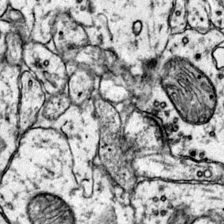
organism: Mouse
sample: Primary visual cortex